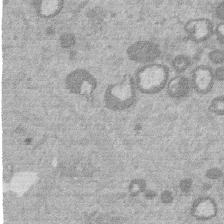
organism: Mouse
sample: Dividing mouse embryo 1 cell stage